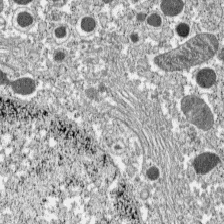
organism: C57BL Mouse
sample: Pancreatic islet